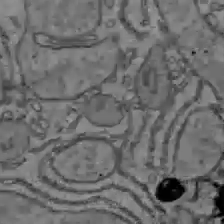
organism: C57BL Mouse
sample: Liver